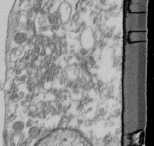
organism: Mouse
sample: Cilia; retinal pigment epithelium